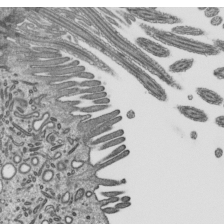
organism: Mouse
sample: Mouse epididymis efferent ductule cilia